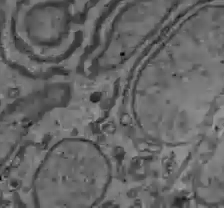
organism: C57BL Mouse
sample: Liver